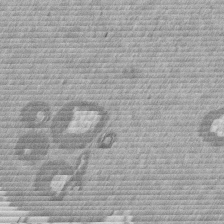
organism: Mouse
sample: Dividing mouse embryo 1 cell stage